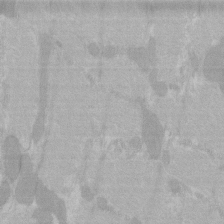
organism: C57BL Mouse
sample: Tibialis anterior muscle cell